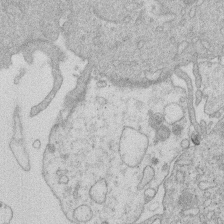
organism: Human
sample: Macrophage cells